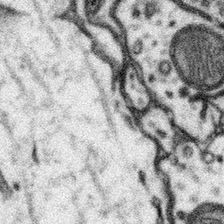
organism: Mouse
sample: Somatosensory cortex neuropil